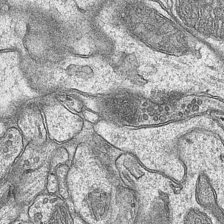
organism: Mouse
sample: CA1 Hippocampus